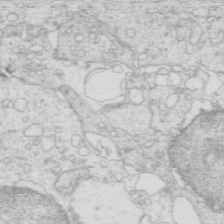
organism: Mouse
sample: Multiciliated cells